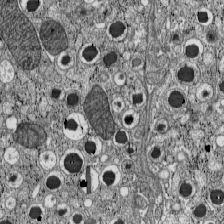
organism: C57BL Mouse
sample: Pancreatic islet